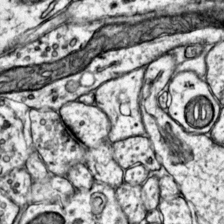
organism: Mouse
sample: Primary visual cortex